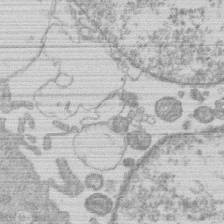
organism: Human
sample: Macrophage cells